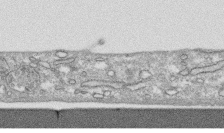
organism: Human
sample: CRL-1474